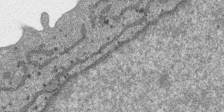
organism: Human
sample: Lung epithelial cells infected with SARS-CoV-2